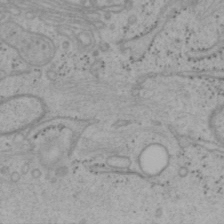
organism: Human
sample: HeLa cells